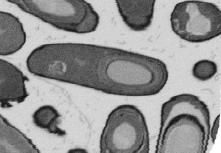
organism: B. subtilis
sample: Bacterial spore